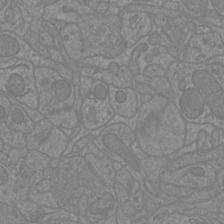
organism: Mouse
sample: Cortical neurons